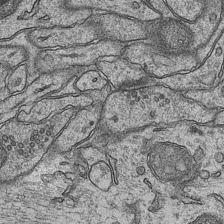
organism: Mouse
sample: CA1 Hippocampus